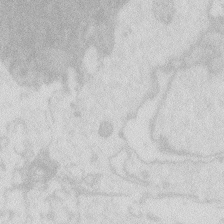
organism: Zebrafish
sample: Macrophage